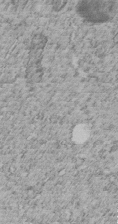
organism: C. elegans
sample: C. elegans embryo early stage